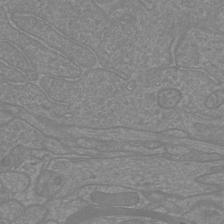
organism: Mouse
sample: Cortical neurons